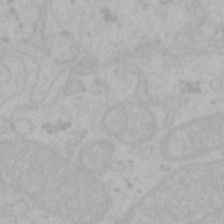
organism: Mouse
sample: Choroid plexus